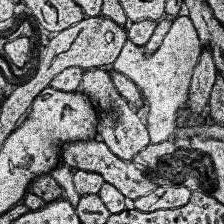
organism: Human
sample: Temporal Lobe